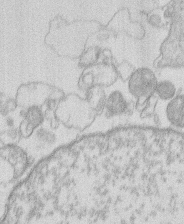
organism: Human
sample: Macrophage cells